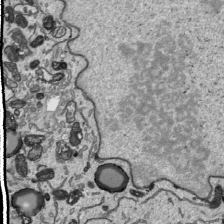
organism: Human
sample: Mitochondria in HCT116 cells